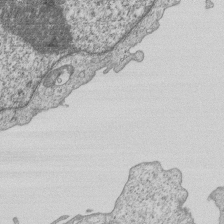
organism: Human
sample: MDA-MB-231 cells